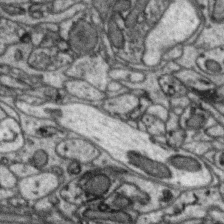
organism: Zebra finch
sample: Brain